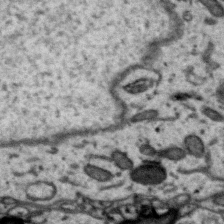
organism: Zebra finch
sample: Brain